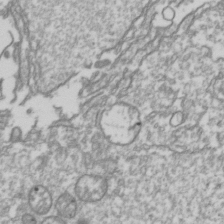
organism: Drosophila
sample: Cell division; meiosis; drosophila spermatocytes